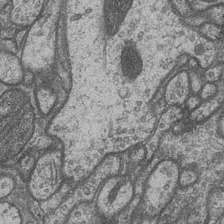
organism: Drosophila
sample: Optic medulla